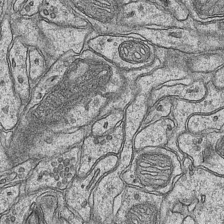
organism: Mouse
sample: CA1 Hippocampus